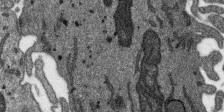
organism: Human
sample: Lung epithelial cells infected with SARS-CoV-2